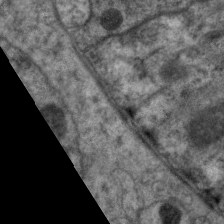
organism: C. elegans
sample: Pharynx